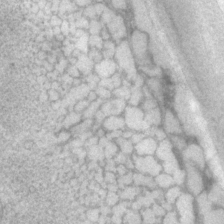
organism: P. pacificus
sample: Pharynx